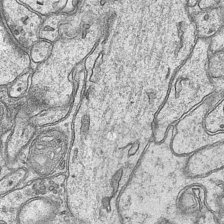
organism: Mouse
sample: CA1 Hippocampus